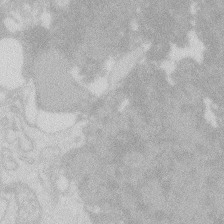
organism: Zebrafish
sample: Macrophage